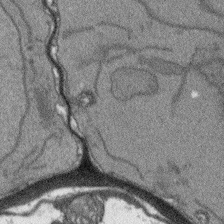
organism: Arabidopsis thaliana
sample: Root tip